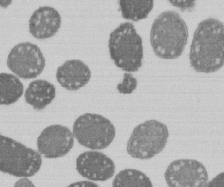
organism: E. coli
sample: Bacterial nucleoid